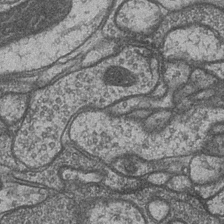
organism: Drosophila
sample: Optic medulla